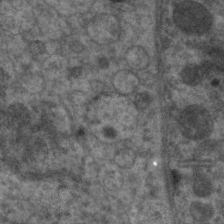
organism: C. elegans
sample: Pharynx